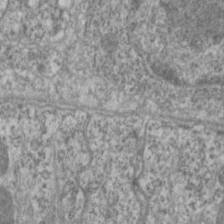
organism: C. elegans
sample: Pharynx